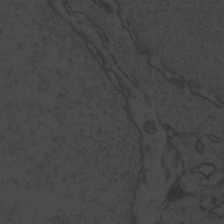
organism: Zebrafish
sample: Macrophage infected with Toxoplasma gondii